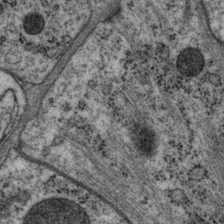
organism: P. pacificus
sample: Pharynx